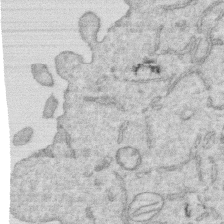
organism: Human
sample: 1205lu cells